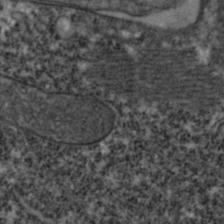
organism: Zebrafish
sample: Zebrafish embryo